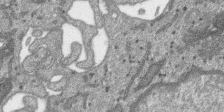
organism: Human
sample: Lung epithelial cells infected with SARS-CoV-2